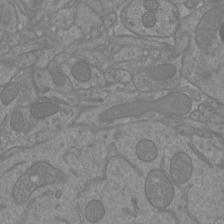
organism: Mouse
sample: Cortical neurons